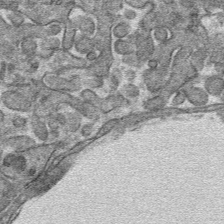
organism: Mouse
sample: Mouse hepatocytes